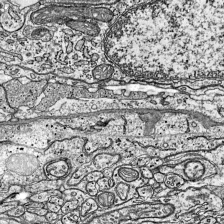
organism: Mouse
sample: Visual Cortex